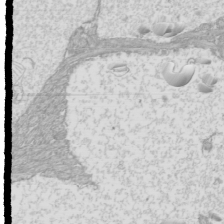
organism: Mouse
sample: Cilia; mouse epididymis